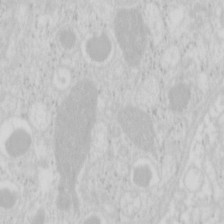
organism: Mouse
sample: Pancreas